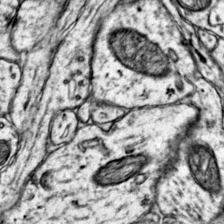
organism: Mouse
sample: Primary visual cortex